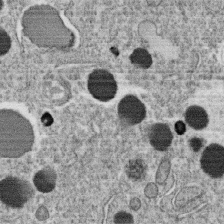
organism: C. elegans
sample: C. elegans oocyte; sperm cells